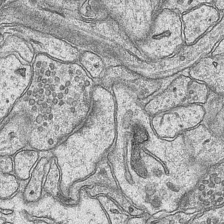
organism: Mouse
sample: CA1 Hippocampus